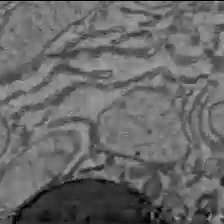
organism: C57BL Mouse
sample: Liver